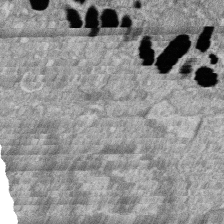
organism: Zebrafish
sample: Cilia; retinal pigment epithelium